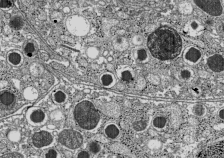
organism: C57BL Mouse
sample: Pancreatic islet